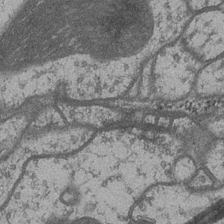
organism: Drosophila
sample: Optic medulla